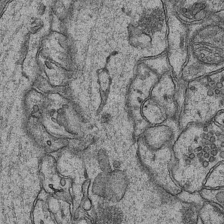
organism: Mouse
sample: CA1 Hippocampus